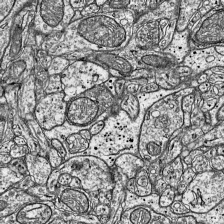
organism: Mouse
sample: Visual Cortex